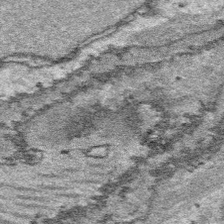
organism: Platynereis dumerilii